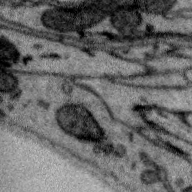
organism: Zebra finch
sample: Brain